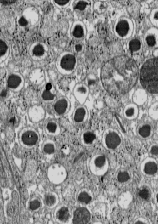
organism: C57BL Mouse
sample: Pancreatic islet